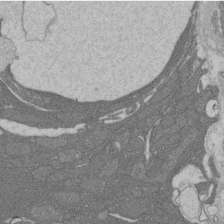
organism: Rat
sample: Salivary granule